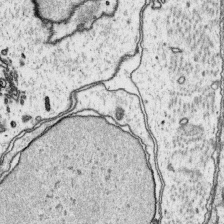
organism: Platynereis dumerilii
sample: Parapodia